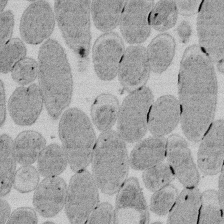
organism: E. coli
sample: Bacterial nucleoid